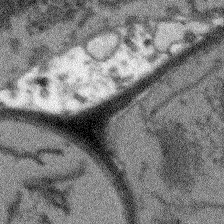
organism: Arabidopsis thaliana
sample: Root tip